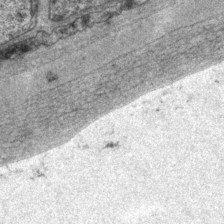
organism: P. pacificus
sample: Pharynx